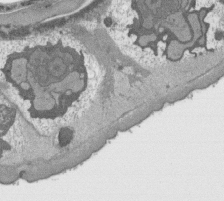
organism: C. elegans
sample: AFD neurons C. elegans